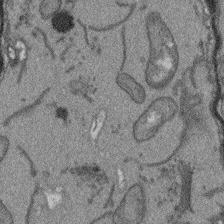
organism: Arabidopsis thaliana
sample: Root tip